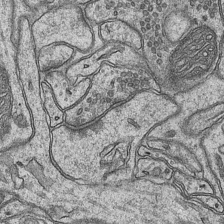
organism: Mouse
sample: CA1 Hippocampus